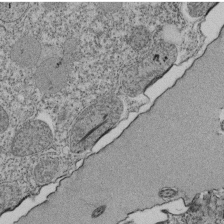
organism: Tetrahymena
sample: Cilia in tetrahymena